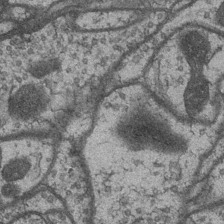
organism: Drosophila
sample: Optic medulla